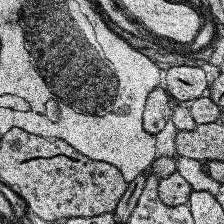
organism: Human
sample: Temporal Lobe